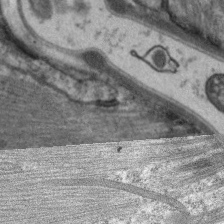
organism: C. elegans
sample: Pharynx